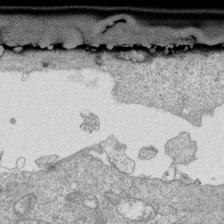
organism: Human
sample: HeLa cell HIV synapse